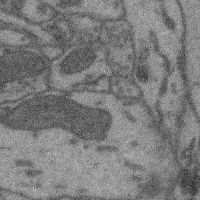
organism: Mouse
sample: Cerebral cortex